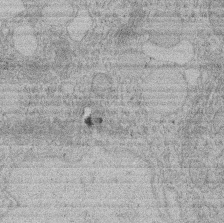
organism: Rat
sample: Salivary granule